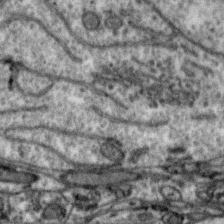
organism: Zebra finch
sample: Brain